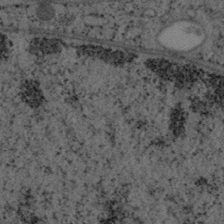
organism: Human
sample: HeLa cells